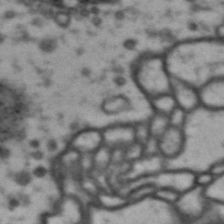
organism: Drosophila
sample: Brain